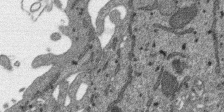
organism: Human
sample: Lung epithelial cells infected with SARS-CoV-2